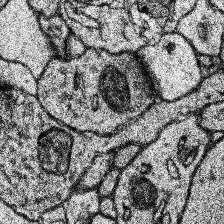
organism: Human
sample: Temporal Lobe